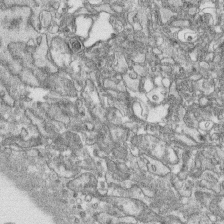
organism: Human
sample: CRL-1474